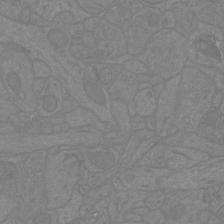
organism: Mouse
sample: Cortical neurons